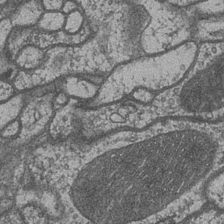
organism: Drosophila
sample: Optic medulla